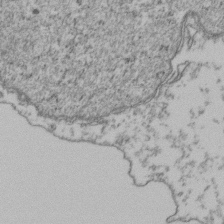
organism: Human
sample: Activated Jurkat CD4+ T cells